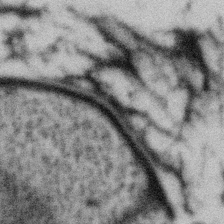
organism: Gemmata obscuriglobus